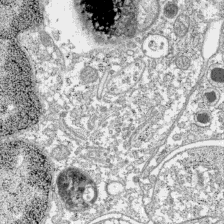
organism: C57BL Mouse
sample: Pancreatic islet